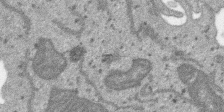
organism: Human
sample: Lung epithelial cells infected with SARS-CoV-2